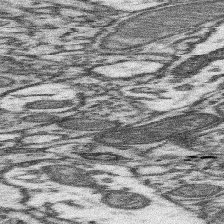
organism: Mouse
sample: Somatosensory cortex neuropil